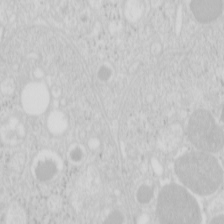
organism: Mouse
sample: Pancreas